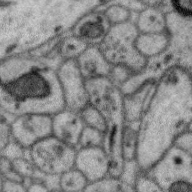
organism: Zebra finch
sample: Brain